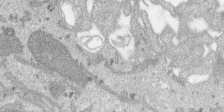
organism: Human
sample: Lung epithelial cells infected with SARS-CoV-2